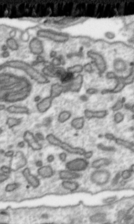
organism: Toxoplasma gondii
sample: Parasites in a vacuole inside a host cell